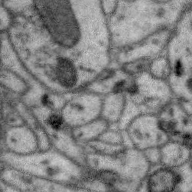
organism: Zebra finch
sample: Brain